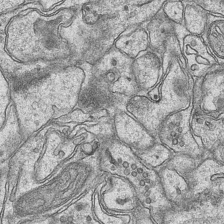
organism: Mouse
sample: CA1 Hippocampus